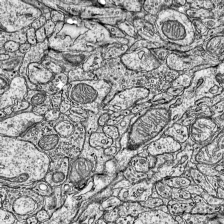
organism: Mouse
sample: Visual Cortex